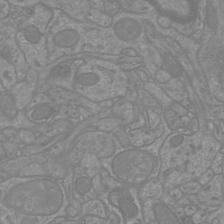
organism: Mouse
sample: Cortical neurons